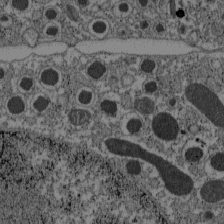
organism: C57BL Mouse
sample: Pancreatic islet